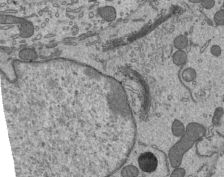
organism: Mouse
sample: Mouse epididymis efferent ductule cilia